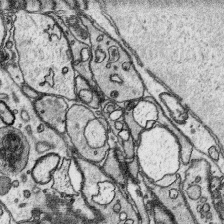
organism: Platynereis dumerilii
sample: Parapodia